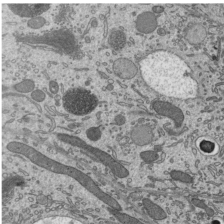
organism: Mouse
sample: Mouse epididymis efferent ductule cilia